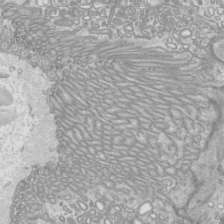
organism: Mouse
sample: Cilia; mouse epididymis